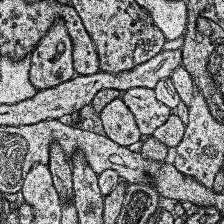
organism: Human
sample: Temporal Lobe